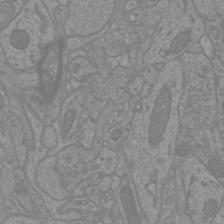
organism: Mouse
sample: Cortical neurons